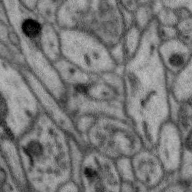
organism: Zebra finch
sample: Brain